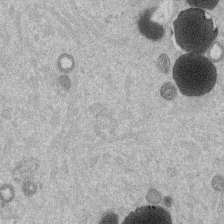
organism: Mouse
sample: Dividing mouse embryo 1 cell stage